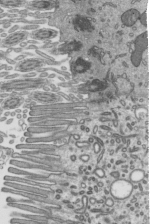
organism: Mouse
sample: Mouse epididymis efferent ductule cilia